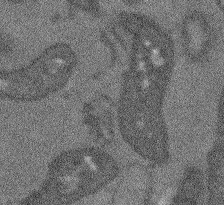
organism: Arabidopsis thaliana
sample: Root tip